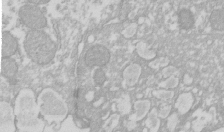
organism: Xenopus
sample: Cilia; centrioles in frog embryo cells